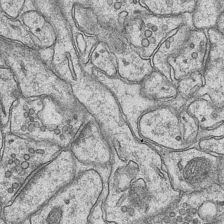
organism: Mouse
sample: CA1 Hippocampus